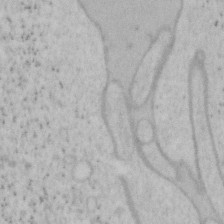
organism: Human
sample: HeLa cells